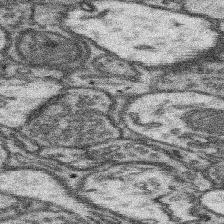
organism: Mouse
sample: Somatosensory cortex neuropil